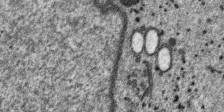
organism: Human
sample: Lung epithelial cells infected with SARS-CoV-2